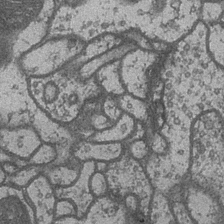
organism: Drosophila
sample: Optic medulla